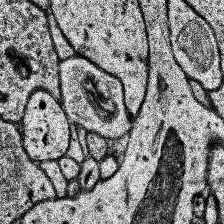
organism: Human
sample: Temporal Lobe